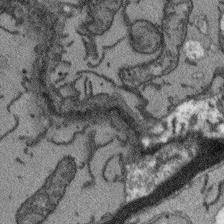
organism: Arabidopsis thaliana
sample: Root tip